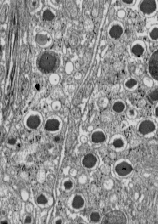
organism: C57BL Mouse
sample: Pancreatic islet